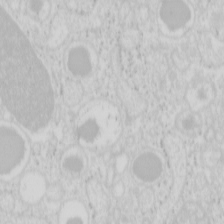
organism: Mouse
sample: Pancreas